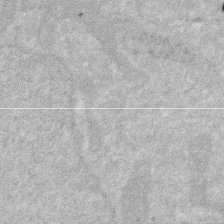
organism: Human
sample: HIV infected U937 cells